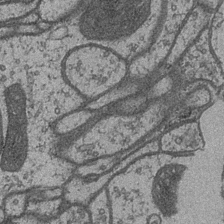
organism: Drosophila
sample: Optic medulla